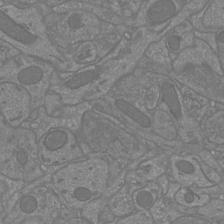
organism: Mouse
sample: Cortical neurons